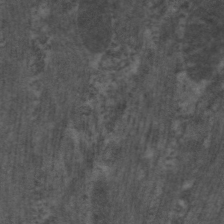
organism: C. elegans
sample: Pharynx